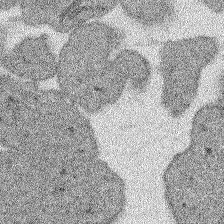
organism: Human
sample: HeLa cells